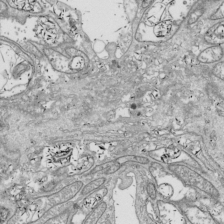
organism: Drosophila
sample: Cell division; meiosis; drosophila spermatocytes